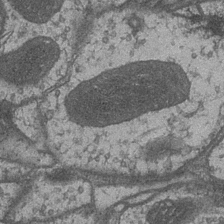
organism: Drosophila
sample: Optic medulla